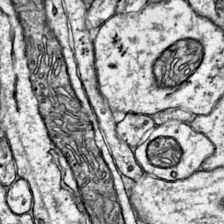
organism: Mouse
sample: Primary visual cortex